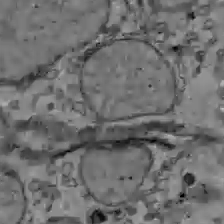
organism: C57BL Mouse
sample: Liver